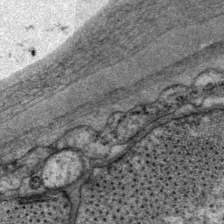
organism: P. pacificus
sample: Pharynx